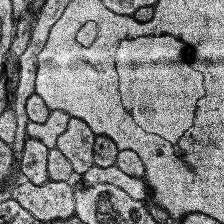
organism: Human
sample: Temporal Lobe